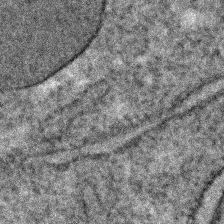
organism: C. elegans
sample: C. elegans embryo